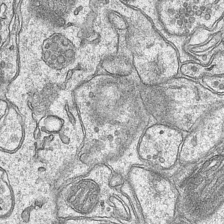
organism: Mouse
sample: CA1 Hippocampus